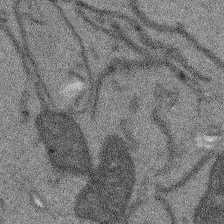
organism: Arabidopsis thaliana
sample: Root tip